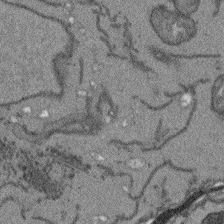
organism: Arabidopsis thaliana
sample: Root tip